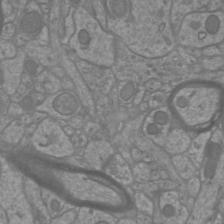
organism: Mouse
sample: Cortical neurons